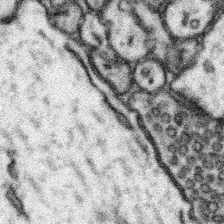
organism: Mouse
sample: Somatosensory cortex neuropil